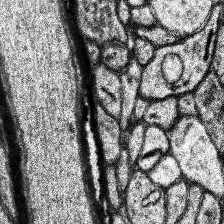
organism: Human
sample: Temporal Lobe